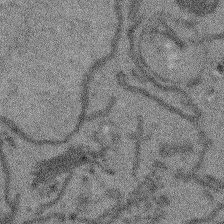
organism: Arabidopsis thaliana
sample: Root tip